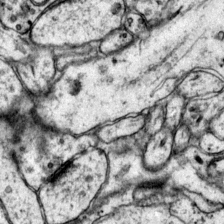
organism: Mouse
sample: Primary visual cortex